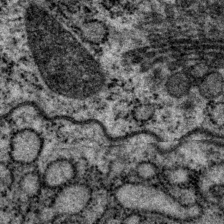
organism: P. pacificus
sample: Pharynx